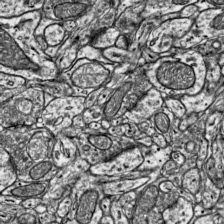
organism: Mouse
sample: Visual Cortex